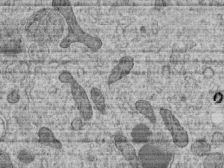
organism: C. elegans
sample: C. elegans embryo early stage